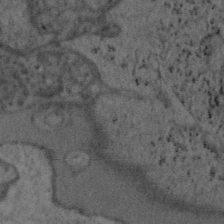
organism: Human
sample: HeLa cells